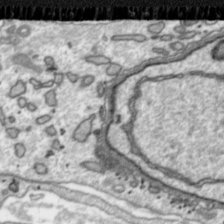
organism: Toxoplasma gondii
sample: Parasites in a vacuole inside a host cell